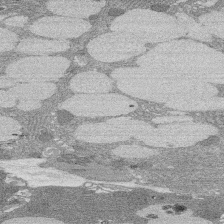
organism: Rat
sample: Salivary granule